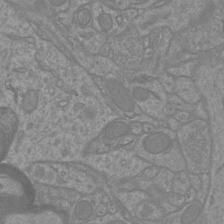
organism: Mouse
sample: Cortical neurons